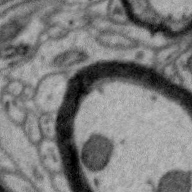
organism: Zebra finch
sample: Brain